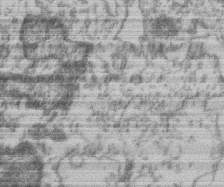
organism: Mouse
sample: T cell stromal cell synapse